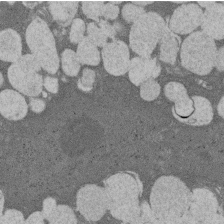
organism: Rat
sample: Salivary granule